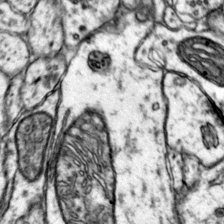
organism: Mouse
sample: Primary visual cortex